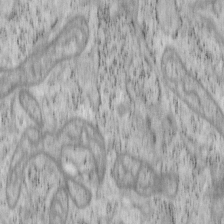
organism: Human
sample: HeLa cells